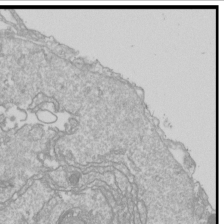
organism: Drosophila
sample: Cell division; meiosis; drosophila spermatocytes